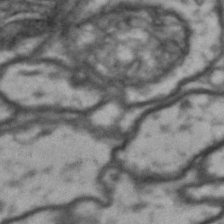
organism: Drosophila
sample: Brain